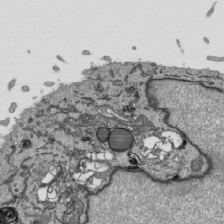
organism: Human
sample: Mitochondria in HCT116 cells